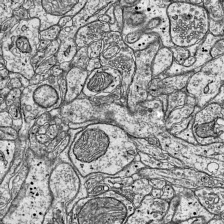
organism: Mouse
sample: Visual Cortex